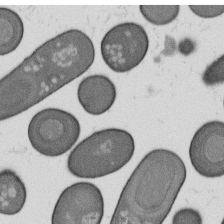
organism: B. subtilis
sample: Bacterial spore